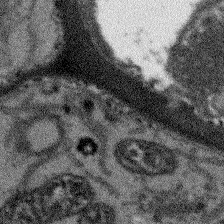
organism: Arabidopsis thaliana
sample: Root tip